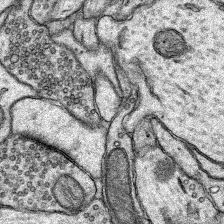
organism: Rat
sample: Hippocampus